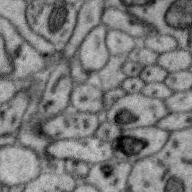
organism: Zebra finch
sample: Brain